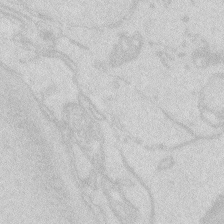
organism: Zebrafish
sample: Macrophage